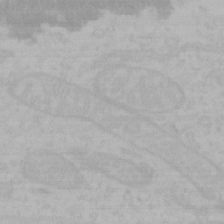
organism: Mouse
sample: Choroid plexus